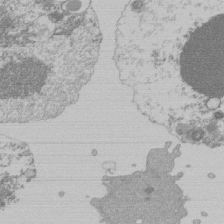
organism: Mouse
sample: Activated Pmel transgenic CD8+ T Cells